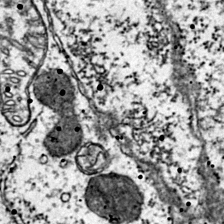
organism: Mouse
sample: Primary visual cortex